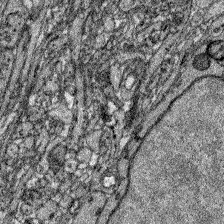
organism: Zebrafish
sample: Larval olfactory bulb